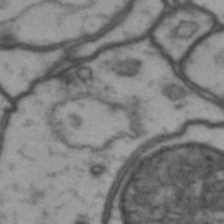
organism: Drosophila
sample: Brain